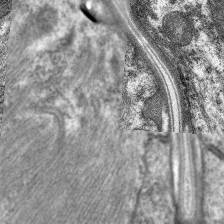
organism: C. elegans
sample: Pharynx